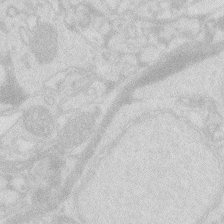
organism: Zebrafish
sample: Macrophage